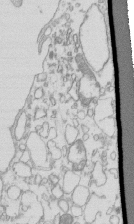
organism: Mouse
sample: Macrophages